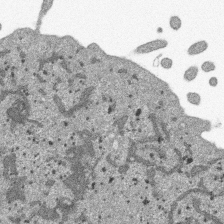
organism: Human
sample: Lung epithelial cells infected with SARS-CoV-2